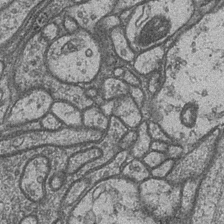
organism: Drosophila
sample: Optic medulla